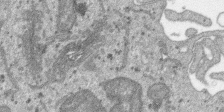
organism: Human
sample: Lung epithelial cells infected with SARS-CoV-2